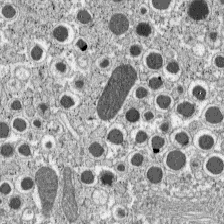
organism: C57BL Mouse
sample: Pancreatic islet